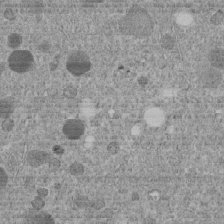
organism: C. elegans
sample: C. elegans embryo early stage